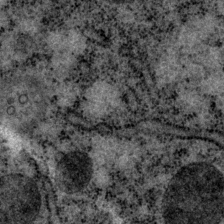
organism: P. pacificus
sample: Pharynx